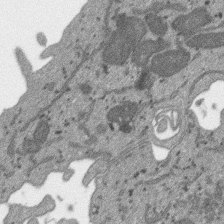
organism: Human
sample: Lung epithelial cells infected with SARS-CoV-2